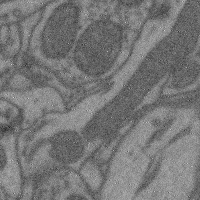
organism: Mouse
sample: Cerebral cortex